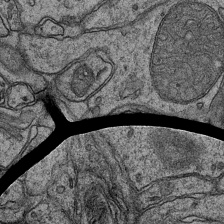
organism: Mouse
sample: CA1 Hippocampus